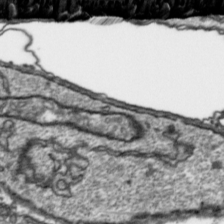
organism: Toxoplasma gondii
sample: Parasites in a vacuole inside a host cell